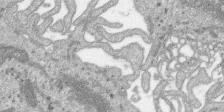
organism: Human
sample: Lung epithelial cells infected with SARS-CoV-2